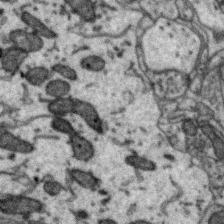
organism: Zebra finch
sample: Brain